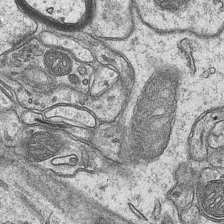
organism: Mouse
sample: CA1 Hippocampus